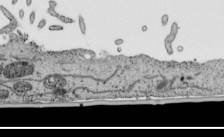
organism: Human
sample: Mitochondria in HCT116 cells